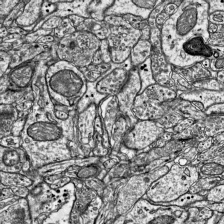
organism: Mouse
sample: Visual Cortex